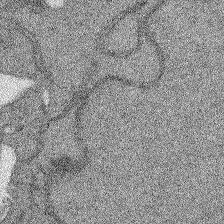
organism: Human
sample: HeLa cells